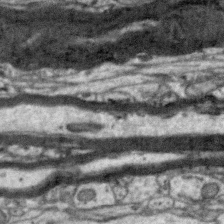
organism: Zebra finch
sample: Brain